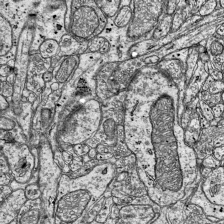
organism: Mouse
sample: Visual Cortex